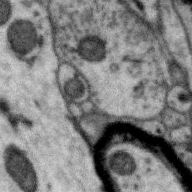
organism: Zebra finch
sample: Brain